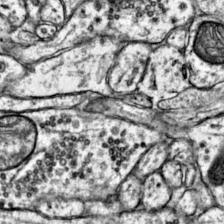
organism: Mouse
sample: Primary visual cortex